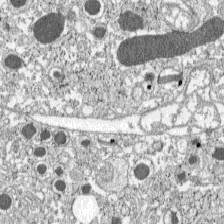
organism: C57BL Mouse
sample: Pancreatic islet